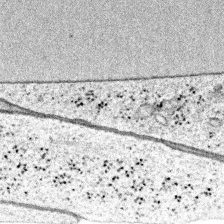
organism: Human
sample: HeLa cells